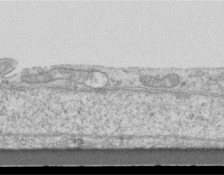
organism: Mouse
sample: Centriole in ependymal cells